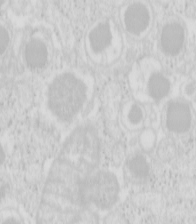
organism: Mouse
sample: Pancreas